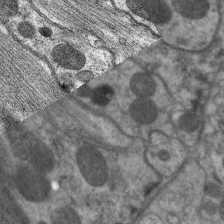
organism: C. elegans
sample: Pharynx